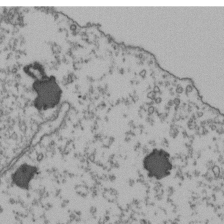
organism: Human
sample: Activated Jurkat CD4+ T cells